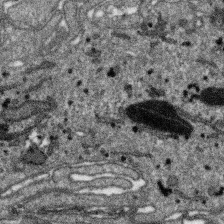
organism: Human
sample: Lung epithelial cells infected with SARS-CoV-2